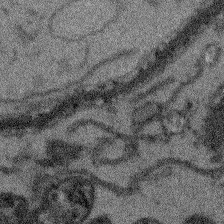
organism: Arabidopsis thaliana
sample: Root tip